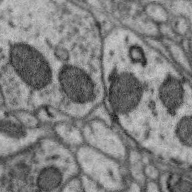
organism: Zebra finch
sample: Brain